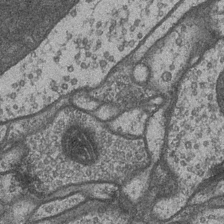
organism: Drosophila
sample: Optic medulla